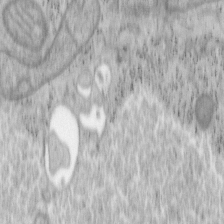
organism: Human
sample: HeLa cells